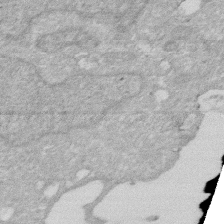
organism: Human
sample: HIV infected U937 cells